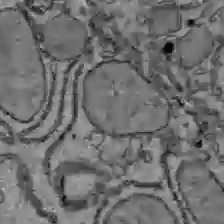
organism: C57BL Mouse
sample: Liver